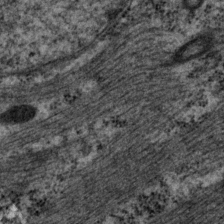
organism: P. pacificus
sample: Pharynx